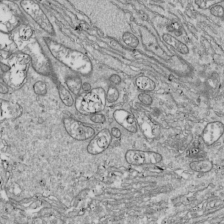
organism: Drosophila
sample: Cell division; meiosis; drosophila spermatocytes